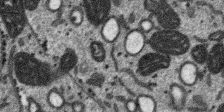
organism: Human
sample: Lung epithelial cells infected with SARS-CoV-2